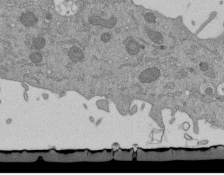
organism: Mouse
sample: ED-1 cell nuclei; centrioles